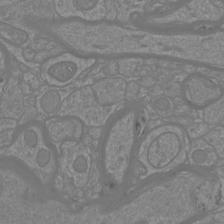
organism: Mouse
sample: Cortical neurons